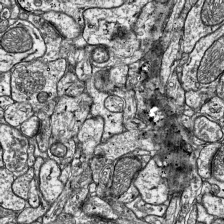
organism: Mouse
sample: Visual Cortex